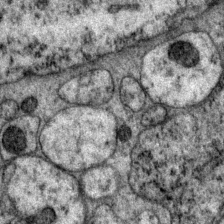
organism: P. pacificus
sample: Pharynx